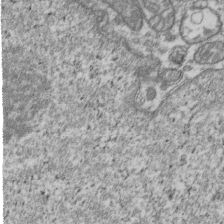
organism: Human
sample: Activated Jurkat CD4+ T cells